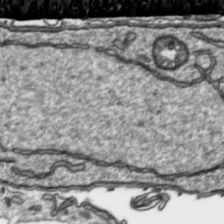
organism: Toxoplasma gondii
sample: Parasites in a vacuole inside a host cell